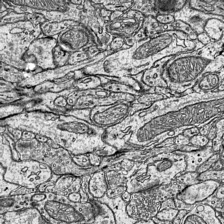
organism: Mouse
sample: Visual Cortex